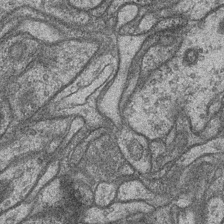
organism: Drosophila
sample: Optic medulla